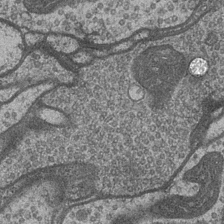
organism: Drosophila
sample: Optic medulla